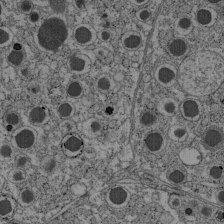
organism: C57BL Mouse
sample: Pancreatic islet